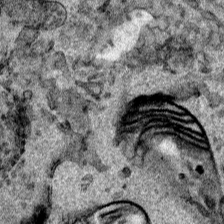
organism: Human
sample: Mitochondria in HCT116 cells